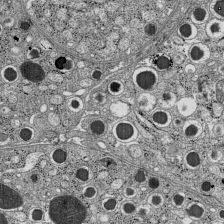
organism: C57BL Mouse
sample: Pancreatic islet